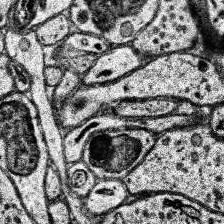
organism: Human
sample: Temporal Lobe